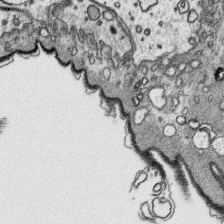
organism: Platynereis dumerilii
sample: Parapodia